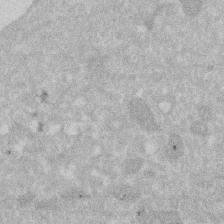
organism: Human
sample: HIV infected U937 cells